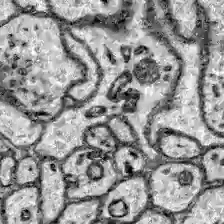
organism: Zebrafish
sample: Brain